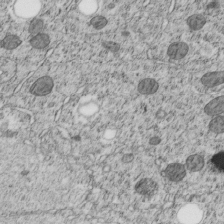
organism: C. elegans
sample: C. elegans embryo early stage